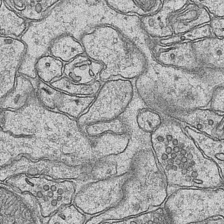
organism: Mouse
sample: CA1 Hippocampus